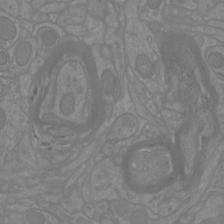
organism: Mouse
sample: Cortical neurons